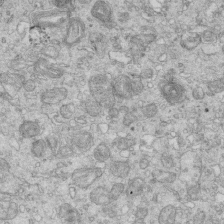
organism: Mouse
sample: Multiciliated cells